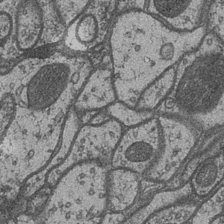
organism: Drosophila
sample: Optic medulla